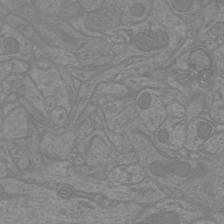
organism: Mouse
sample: Cortical neurons